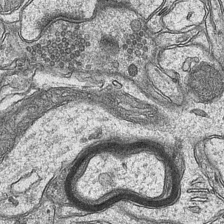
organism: Mouse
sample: CA1 Hippocampus